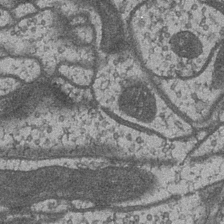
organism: Drosophila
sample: Optic medulla